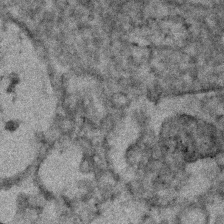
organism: Human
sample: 1205lu cells